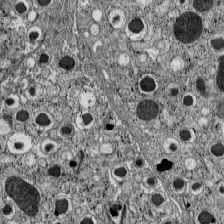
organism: C57BL Mouse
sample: Pancreatic islet